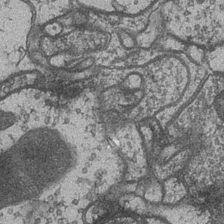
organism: Drosophila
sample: Optic medulla